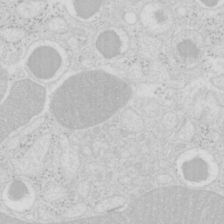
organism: Mouse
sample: Pancreas